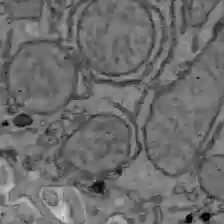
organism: C57BL Mouse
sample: Liver